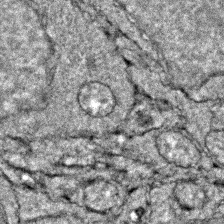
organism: Zebrafish